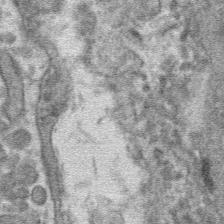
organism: Mouse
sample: Mouse hepatocytes